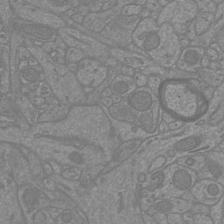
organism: Mouse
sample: Cortical neurons